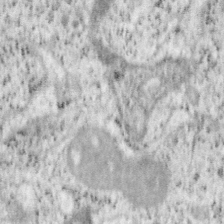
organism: Mouse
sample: OT-I killer T cells with ID8 ovarian cancer cells